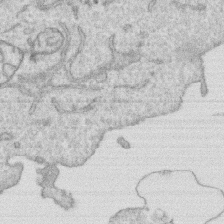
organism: Human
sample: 1205lu cells